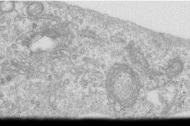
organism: Human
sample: Centriole in RPE cells